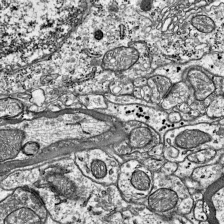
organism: Mouse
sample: Visual Cortex